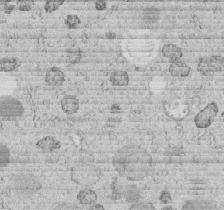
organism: C. elegans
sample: C. elegans embryo early stage